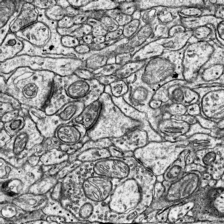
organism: Mouse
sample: Visual Cortex